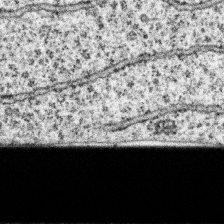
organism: Human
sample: HeLa cells